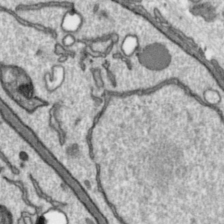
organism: Toxoplasma gondii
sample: Parasites in a vacuole inside a host cell